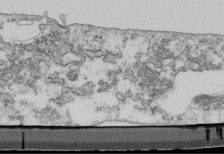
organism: Mouse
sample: Cilia; retinal pigment epithelium